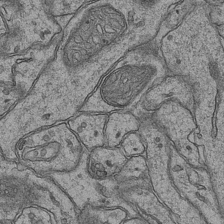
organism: Mouse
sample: CA1 Hippocampus